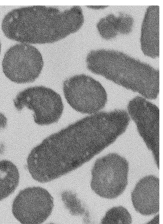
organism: E. coli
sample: Bacterial nucleoid